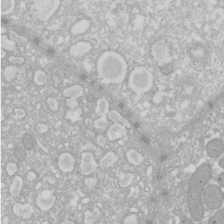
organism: Xenopus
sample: Cilia; centrioles in frog embryo cells